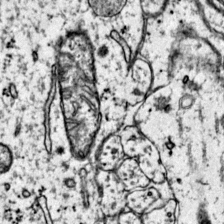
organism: Mouse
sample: Primary visual cortex